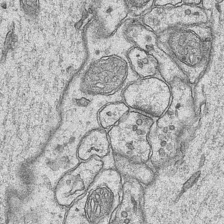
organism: Mouse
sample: CA1 Hippocampus